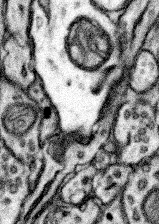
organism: Mouse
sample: Somatosensory cortex neuropil